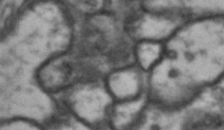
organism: Drosophila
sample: Brain